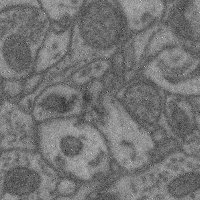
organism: Mouse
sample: Cerebral cortex